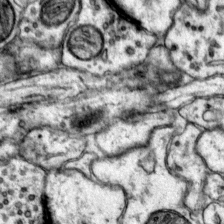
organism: Mouse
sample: Primary visual cortex